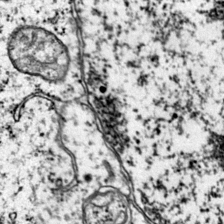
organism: Mouse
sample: Primary visual cortex